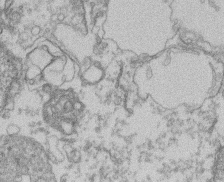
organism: Mouse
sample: T cell stromal cell synapse